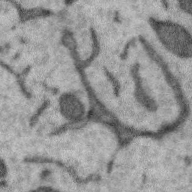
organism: Zebra finch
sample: Brain